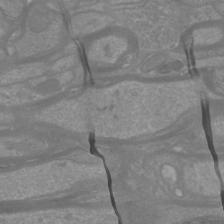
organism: Mouse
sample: Cortical neurons